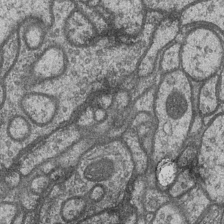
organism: Drosophila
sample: Optic medulla